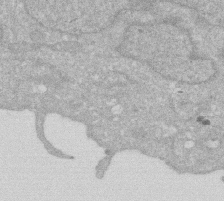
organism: Human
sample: HIV infected U937 cells